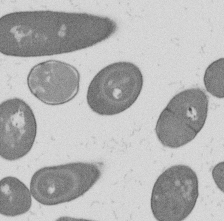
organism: B. subtilis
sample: Bacterial spore